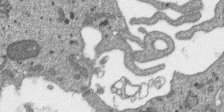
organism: Human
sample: Lung epithelial cells infected with SARS-CoV-2